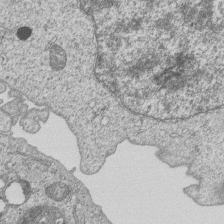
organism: Human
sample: MDA-MB-231 cells